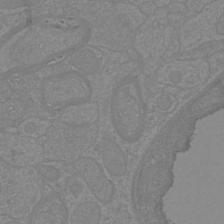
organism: Mouse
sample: Cortical neurons